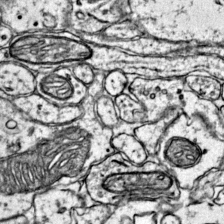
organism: Mouse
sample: Primary visual cortex